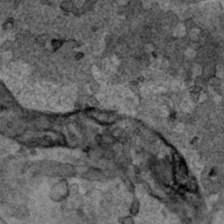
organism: Human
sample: Mitochondria in HCT116 cells